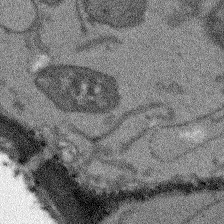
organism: Arabidopsis thaliana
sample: Root tip